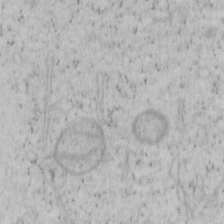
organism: Human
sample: HeLa cells